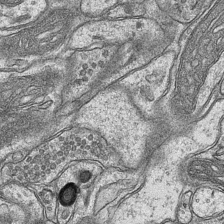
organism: Mouse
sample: CA1 Hippocampus